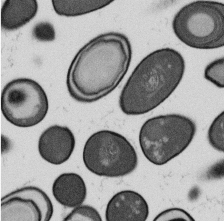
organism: B. subtilis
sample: Bacterial spore